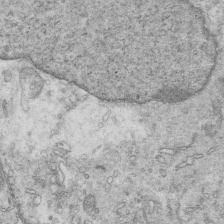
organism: Mouse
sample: Multiciliated cells